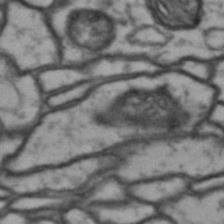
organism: Drosophila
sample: Brain